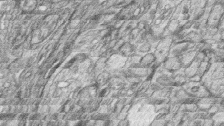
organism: Zebrafish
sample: synaptic ribbons in rod cells and cone cells